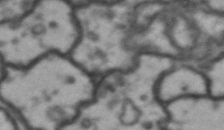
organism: Drosophila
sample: Brain